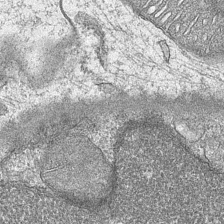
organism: Mouse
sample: CA1 Hippocampus